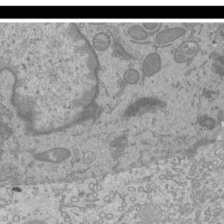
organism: Mouse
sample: Cilia; mouse epididymis